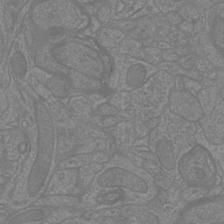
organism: Mouse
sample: Cortical neurons